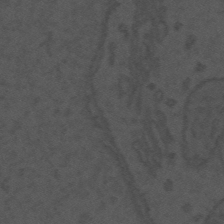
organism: Mouse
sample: Suprachiasmatic nucleus